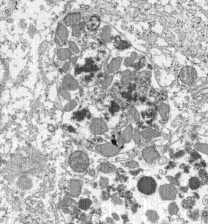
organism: C57BL Mouse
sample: Pancreatic islet